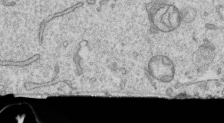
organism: Human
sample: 1205lu cells